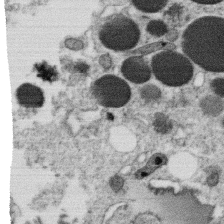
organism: C. elegans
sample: C. elegans oocyte; sperm cells